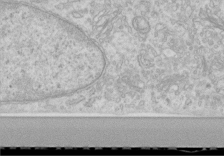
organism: Human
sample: Centriole in RPE cells